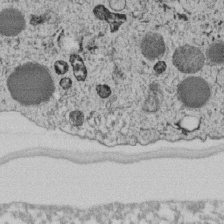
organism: C. elegans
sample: C. elegans embryo early stage